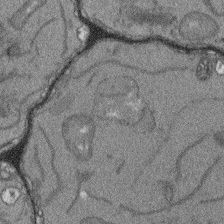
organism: Arabidopsis thaliana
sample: Root tip